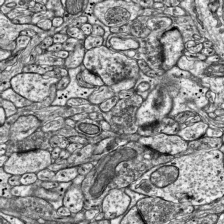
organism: Mouse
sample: Visual Cortex